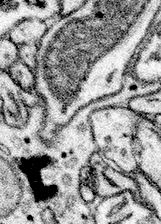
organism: Mouse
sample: Somatosensory cortex neuropil